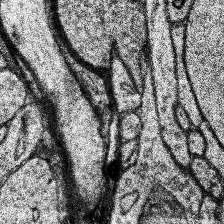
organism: Human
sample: Temporal Lobe